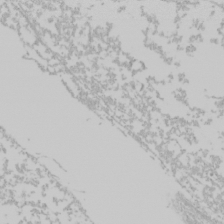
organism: Mouse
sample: Cancer cell death in ED-1 cells